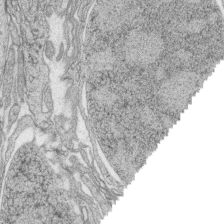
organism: Zebrafish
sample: synaptic ribbons in rod cells and cone cells